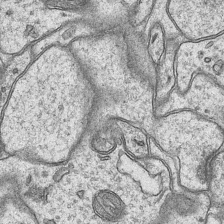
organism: Mouse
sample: CA1 Hippocampus